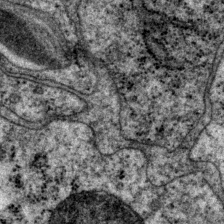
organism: P. pacificus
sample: Pharynx